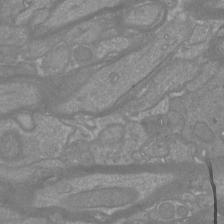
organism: Mouse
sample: Cortical neurons